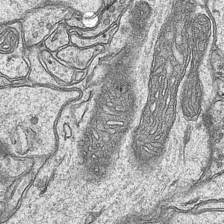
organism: Mouse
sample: CA1 Hippocampus